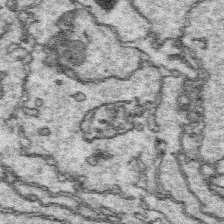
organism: Platynereis dumerilii